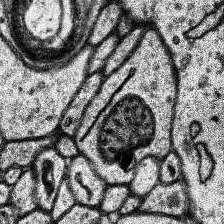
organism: Human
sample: Temporal Lobe